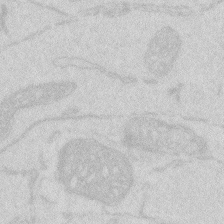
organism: Zebrafish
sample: Macrophage